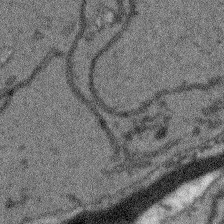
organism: Arabidopsis thaliana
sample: Root tip